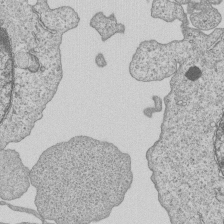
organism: Human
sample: MDA-MB-231 cells